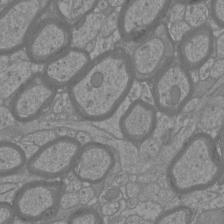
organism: Mouse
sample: Cortical neurons